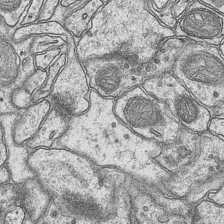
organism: Mouse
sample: CA1 Hippocampus